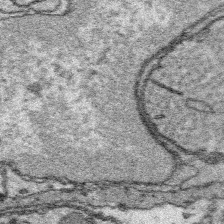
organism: Platynereis dumerilii